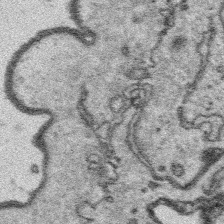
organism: Platynereis dumerilii